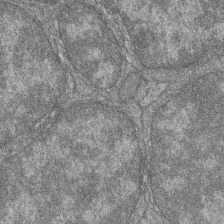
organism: Zebrafish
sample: Cilia; retinal pigment epithelium